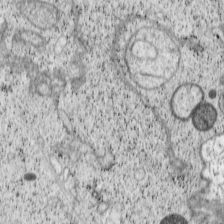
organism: African green monkey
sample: COS-7 cells